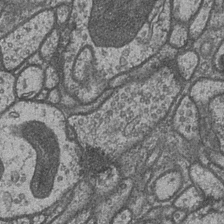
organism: Drosophila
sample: Optic medulla